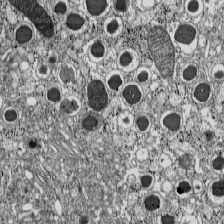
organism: C57BL Mouse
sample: Pancreatic islet